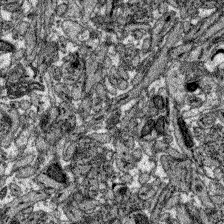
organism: Zebrafish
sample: Larval olfactory bulb